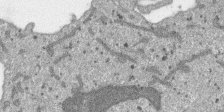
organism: Human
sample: Lung epithelial cells infected with SARS-CoV-2